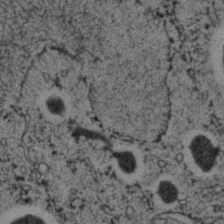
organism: C. elegans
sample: C. elegans embryo